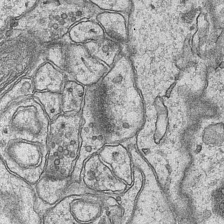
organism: Mouse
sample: CA1 Hippocampus